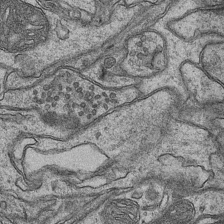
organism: Mouse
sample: CA1 Hippocampus